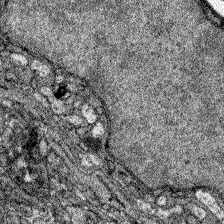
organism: Zebrafish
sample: Larval olfactory bulb